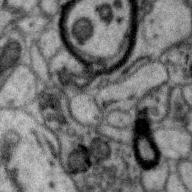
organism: Zebra finch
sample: Brain